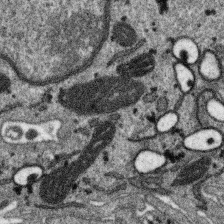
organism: Human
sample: Lung epithelial cells infected with SARS-CoV-2